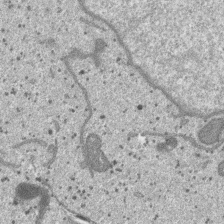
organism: Human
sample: Lung epithelial cells infected with SARS-CoV-2